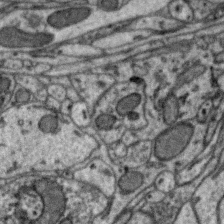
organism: Zebra finch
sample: Brain